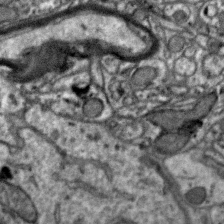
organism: Zebra finch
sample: Brain